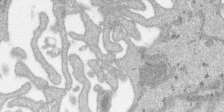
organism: Human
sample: Lung epithelial cells infected with SARS-CoV-2